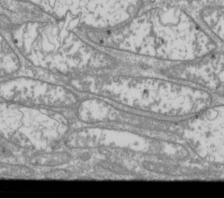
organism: Drosophila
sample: Cell division; meiosis; drosophila spermatocytes